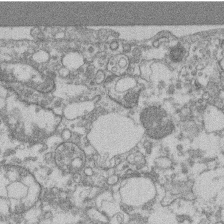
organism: Mouse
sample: T cell stromal cell synapse